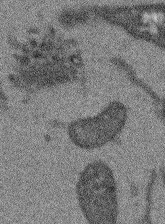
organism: Arabidopsis thaliana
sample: Root tip